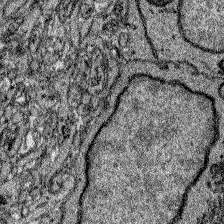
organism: Zebrafish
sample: Larval olfactory bulb